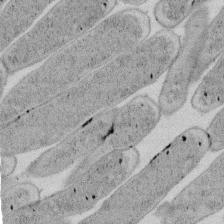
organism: E. coli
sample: Bacterial nucleoid